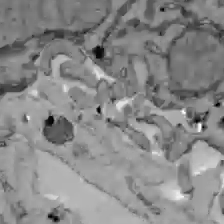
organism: C57BL Mouse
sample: Liver